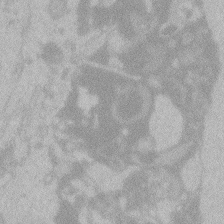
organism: Zebrafish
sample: Macrophage infected with Toxoplasma gondii